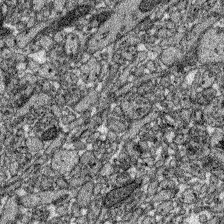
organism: Zebrafish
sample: Larval olfactory bulb